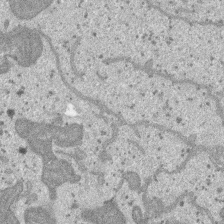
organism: Human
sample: Lung epithelial cells infected with SARS-CoV-2